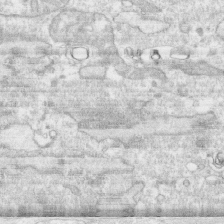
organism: Human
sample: CRL-1474